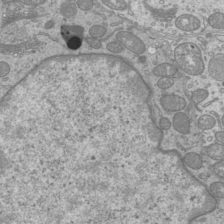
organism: Mouse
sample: Cilia; mouse epididymis